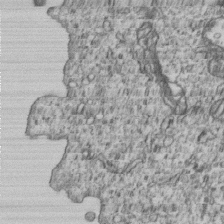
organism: Human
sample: MDA-MB-231 cells